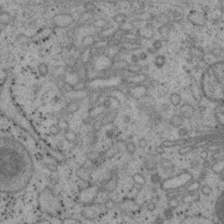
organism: Human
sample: HeLa cells